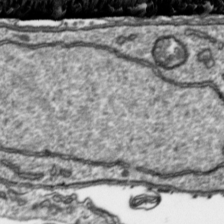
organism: Toxoplasma gondii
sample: Parasites in a vacuole inside a host cell